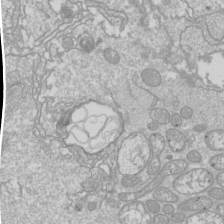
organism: Drosophila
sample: Cell division; meiosis; drosophila spermatocytes